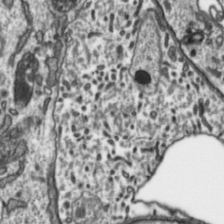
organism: Toxoplasma gondii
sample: Parasites in a vacuole inside a host cell